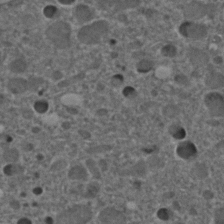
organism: C. elegans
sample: C. elegans embryo